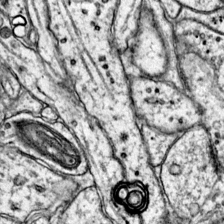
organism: Mouse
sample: Primary visual cortex